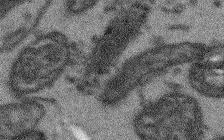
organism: Arabidopsis thaliana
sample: Root tip